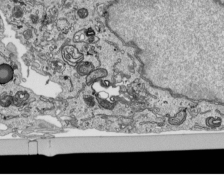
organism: Human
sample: Mitochondria in HCT116 cells